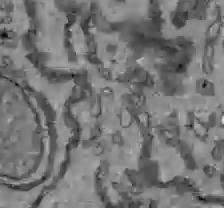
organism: C57BL Mouse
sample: Liver